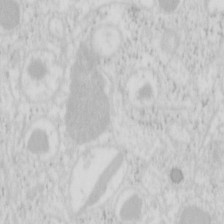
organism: Mouse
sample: Pancreas